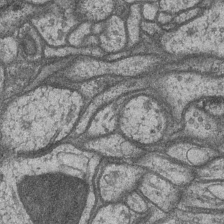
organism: Drosophila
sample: Optic medulla